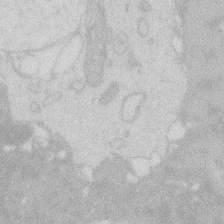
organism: Zebrafish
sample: Macrophage